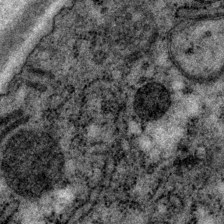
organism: P. pacificus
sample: Pharynx